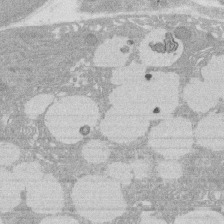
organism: Rat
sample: Salivary granule